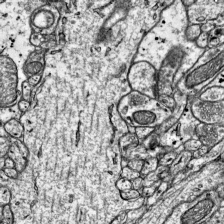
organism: Mouse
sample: Visual Cortex